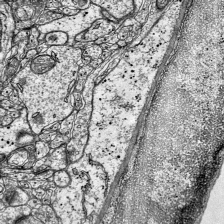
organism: Mouse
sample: Visual Cortex